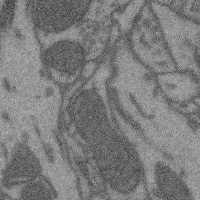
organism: Mouse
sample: Cerebral cortex